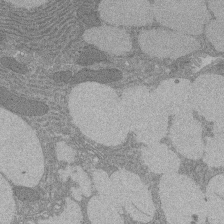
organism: Rat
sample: Salivary granule